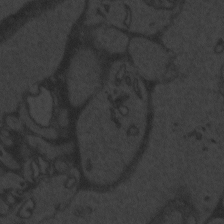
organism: Zebrafish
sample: Macrophage infected with Toxoplasma gondii